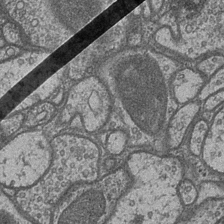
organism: Drosophila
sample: Optic medulla